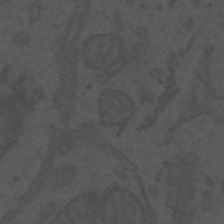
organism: Mouse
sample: Suprachiasmatic nucleus